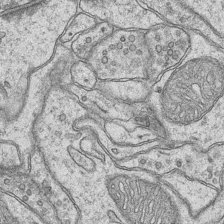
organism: Mouse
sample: CA1 Hippocampus